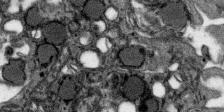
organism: Human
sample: Lung epithelial cells, uninfected (mock) control